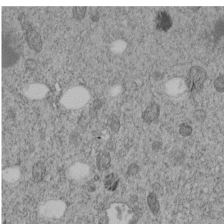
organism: C. elegans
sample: C. elegans embryo early stage